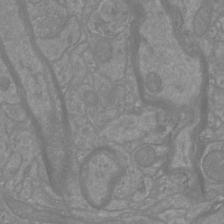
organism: Mouse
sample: Cortical neurons